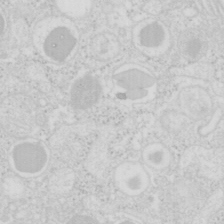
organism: Mouse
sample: Pancreas